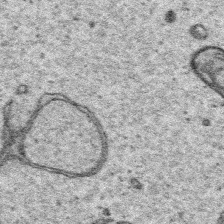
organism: Platynereis dumerilii